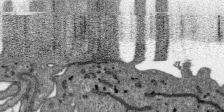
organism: Human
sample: Lung epithelial cells, uninfected (mock) control